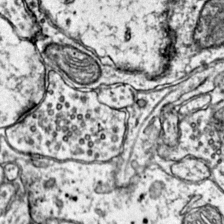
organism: Mouse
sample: Primary visual cortex